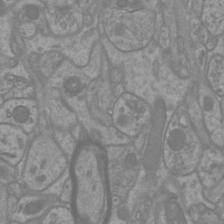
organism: Mouse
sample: Cortical neurons